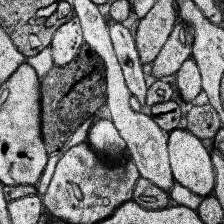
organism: Human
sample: Temporal Lobe